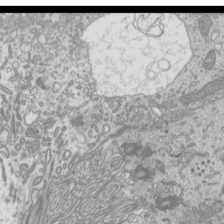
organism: Mouse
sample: Cilia; mouse epididymis